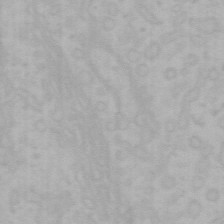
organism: Mouse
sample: Choroid plexus